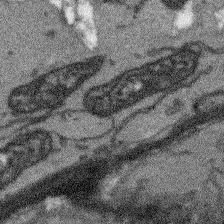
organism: Arabidopsis thaliana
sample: Root tip